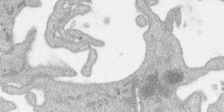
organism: Human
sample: Lung epithelial cells infected with SARS-CoV-2